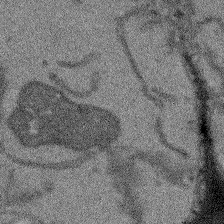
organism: Arabidopsis thaliana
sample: Root tip